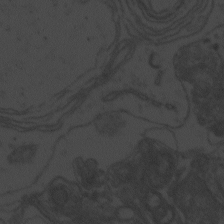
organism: Zebrafish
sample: Macrophage infected with Toxoplasma gondii